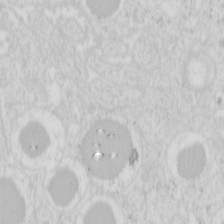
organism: Mouse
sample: Pancreas